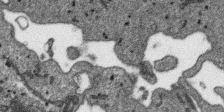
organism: Human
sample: Lung epithelial cells infected with SARS-CoV-2